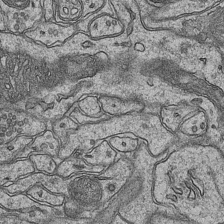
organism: Mouse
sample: CA1 Hippocampus